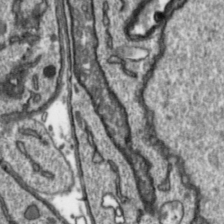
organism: Toxoplasma gondii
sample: Parasites in a vacuole inside a host cell